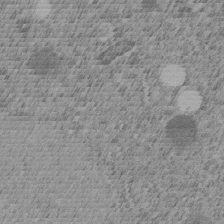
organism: C. elegans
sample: C. elegans embryo early stage